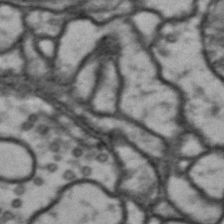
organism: Drosophila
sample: Brain